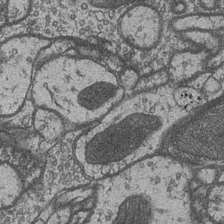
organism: Drosophila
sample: Optic medulla